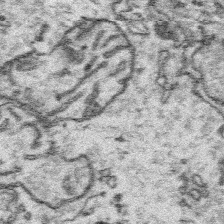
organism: Platynereis dumerilii